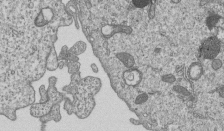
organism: Human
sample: MDA-MB-231 cells